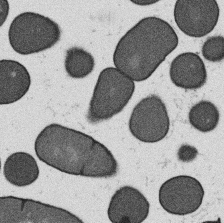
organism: B. subtilis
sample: Bacterial spore